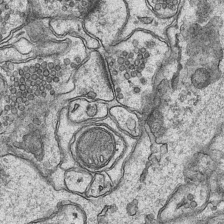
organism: Mouse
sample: CA1 Hippocampus